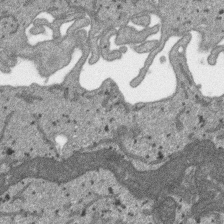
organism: Human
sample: Lung epithelial cells infected with SARS-CoV-2